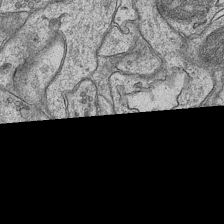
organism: Mouse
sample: CA1 Hippocampus